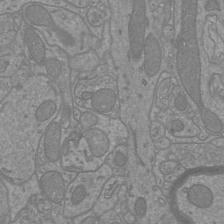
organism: Mouse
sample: Cortical neurons